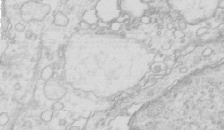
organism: Mouse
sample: Multiciliated cells